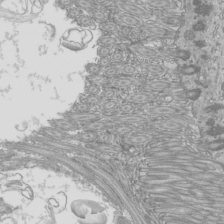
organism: Mouse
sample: Cilia; mouse epididymis